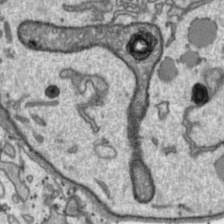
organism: Toxoplasma gondii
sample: Parasites in a vacuole inside a host cell